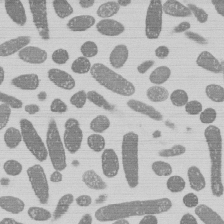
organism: E. coli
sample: Bacterial nucleoid